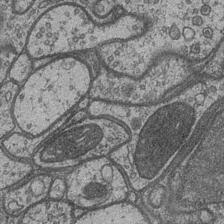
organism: Drosophila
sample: Optic medulla